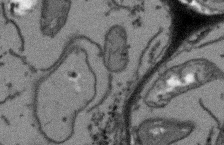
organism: Arabidopsis thaliana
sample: Root tip